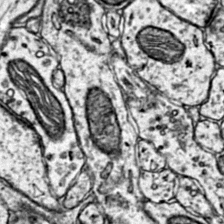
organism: Mouse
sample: Primary visual cortex